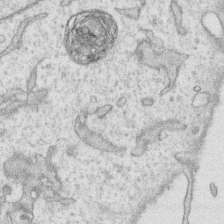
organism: Human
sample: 1205lu cells